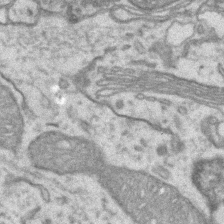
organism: Mouse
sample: CA1 Hippocampus